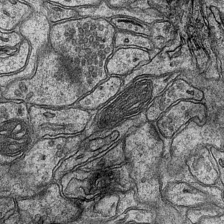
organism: Mouse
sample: CA1 Hippocampus